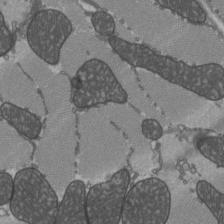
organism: C57BL Mouse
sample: Heart